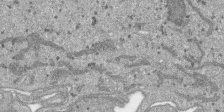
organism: Human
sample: Lung epithelial cells infected with SARS-CoV-2